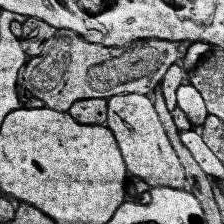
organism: Human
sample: Temporal Lobe